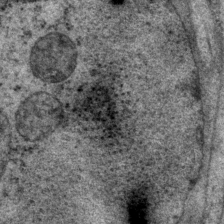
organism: P. pacificus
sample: Pharynx